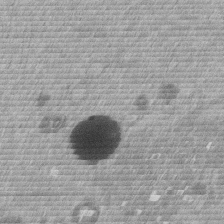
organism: Mouse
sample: Dividing mouse embryo 1 cell stage